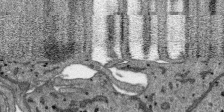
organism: Human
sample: Lung epithelial cells, uninfected (mock) control